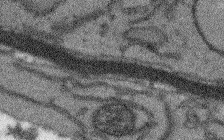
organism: Arabidopsis thaliana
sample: Root tip